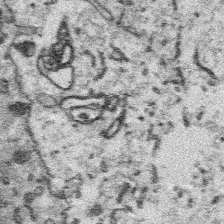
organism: Platynereis dumerilii